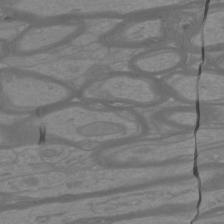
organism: Mouse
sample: Cortical neurons